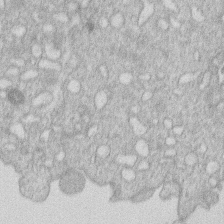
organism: Human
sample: Macrophage cells